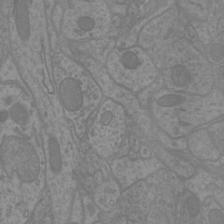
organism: Mouse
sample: Cortical neurons